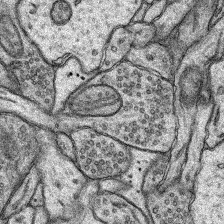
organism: Rat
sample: Hippocampus